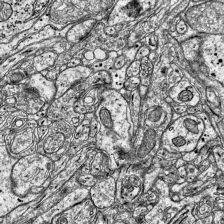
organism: Mouse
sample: Visual Cortex